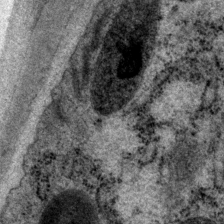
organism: P. pacificus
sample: Pharynx